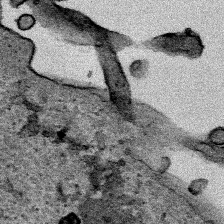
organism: Human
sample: Mitochondria in HCT116 cells